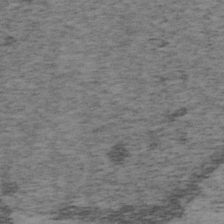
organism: Mouse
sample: OT-I killer T cells with ID8 ovarian cancer cells